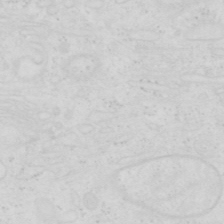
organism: Human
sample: SUM-159 cell